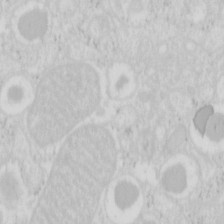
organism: Mouse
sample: Pancreas